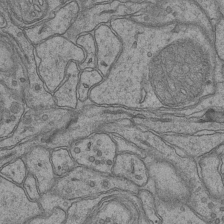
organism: Mouse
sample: CA1 Hippocampus